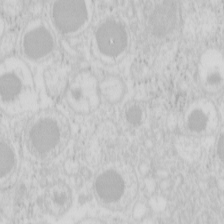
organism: Mouse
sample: Pancreas